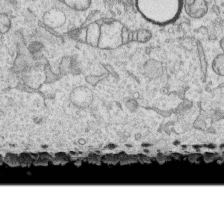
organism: Human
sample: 1205lu cells